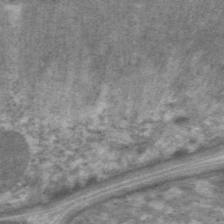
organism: C. elegans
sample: Pharynx